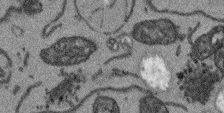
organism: Arabidopsis thaliana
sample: Root tip